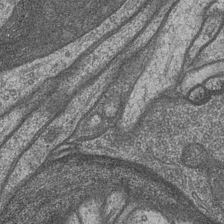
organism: Drosophila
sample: Optic medulla